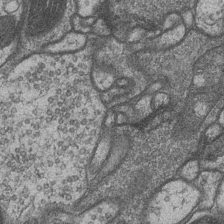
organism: Drosophila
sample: Optic medulla